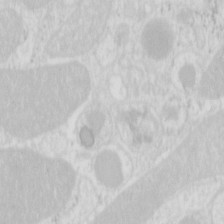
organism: Mouse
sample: Pancreas